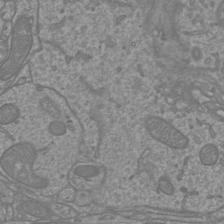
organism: Mouse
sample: Cortical neurons